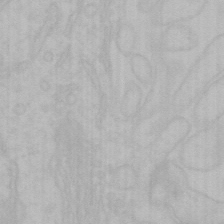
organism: Mouse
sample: Choroid plexus